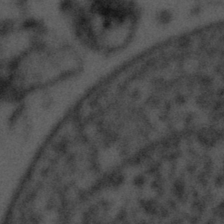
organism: Tuwongella immobilis